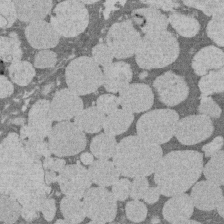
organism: Rat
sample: Salivary granule